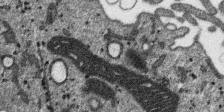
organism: Human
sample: Lung epithelial cells infected with SARS-CoV-2